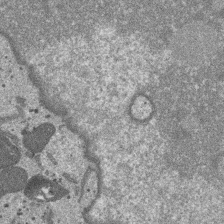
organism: Human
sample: Lung epithelial cells infected with SARS-CoV-2